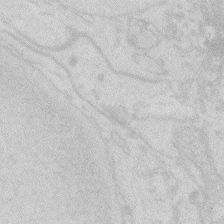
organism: Zebrafish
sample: Macrophage